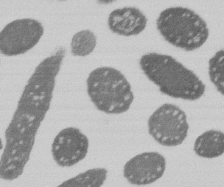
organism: E. coli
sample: Bacterial nucleoid